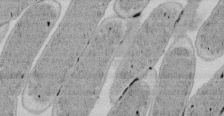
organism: E. coli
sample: Bacterial nucleoid